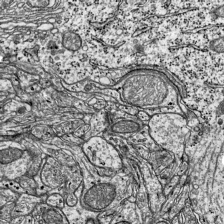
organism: Mouse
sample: Visual Cortex